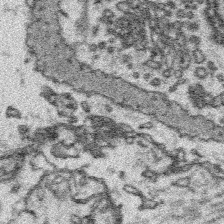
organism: Platynereis dumerilii